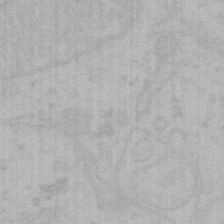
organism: Mouse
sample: Choroid plexus